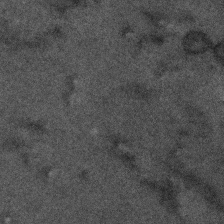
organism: Human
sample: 1205lu cells